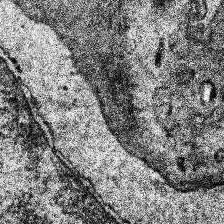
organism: Human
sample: Temporal Lobe